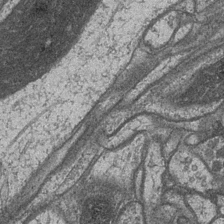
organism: Drosophila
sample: Optic medulla